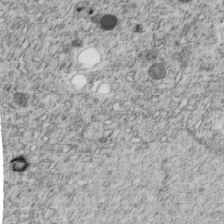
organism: C. elegans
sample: C. elegans embryo early stage